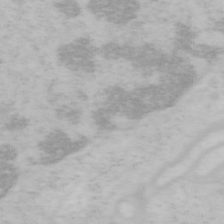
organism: Mouse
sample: OT-I killer T cells with ID8 ovarian cancer cells